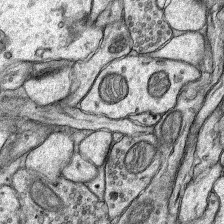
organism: Rat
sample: Hippocampus